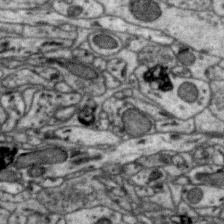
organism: Zebra finch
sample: Brain